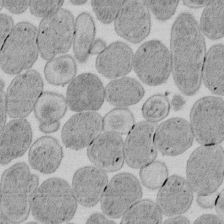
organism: E. coli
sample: Bacterial nucleoid